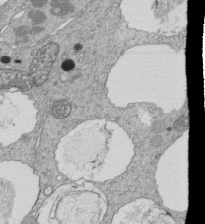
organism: Tetrahymena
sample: Cilia in tetrahymena